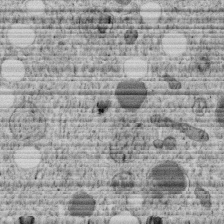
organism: C. elegans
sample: C. elegans embryo early stage